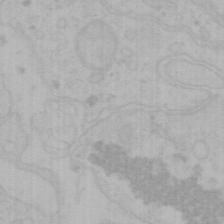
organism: Mouse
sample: Choroid plexus